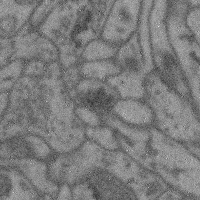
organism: Mouse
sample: Cerebral cortex